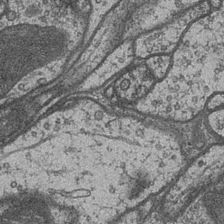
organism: Drosophila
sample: Optic medulla